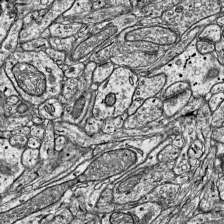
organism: Mouse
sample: Visual Cortex